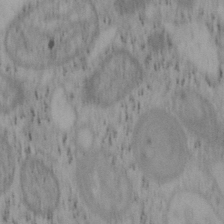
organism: Mouse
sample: OT-I killer T cells with ID8 ovarian cancer cells